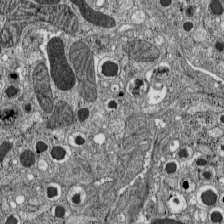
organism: C57BL Mouse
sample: Pancreatic islet